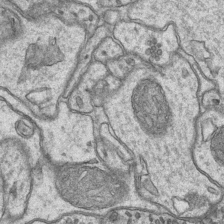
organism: Mouse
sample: CA1 Hippocampus